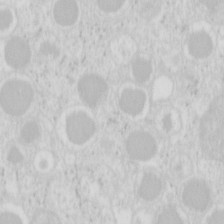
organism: Mouse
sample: Pancreas